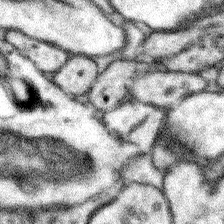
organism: Mouse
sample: Somatosensory cortex neuropil